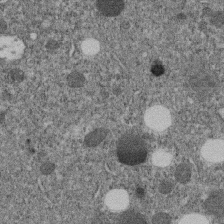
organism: C. elegans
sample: C. elegans embryo early stage